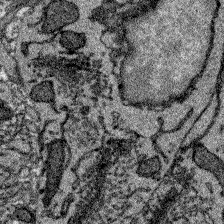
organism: Zebrafish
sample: Larval olfactory bulb